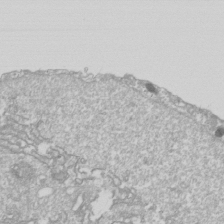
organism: Drosophila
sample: Cell division; meiosis; drosophila spermatocytes